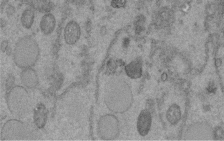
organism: C. elegans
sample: C. elegans embryo early stage